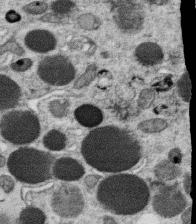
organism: C. elegans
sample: C. elegans oocyte; sperm cells